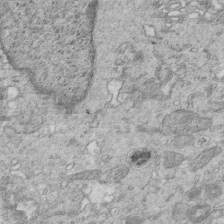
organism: Mouse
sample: Multiciliated cells